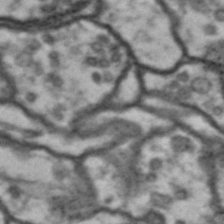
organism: Drosophila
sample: Brain